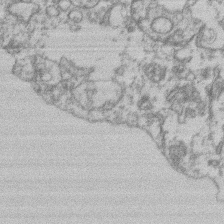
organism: Mouse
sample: T cell stromal cell synapse